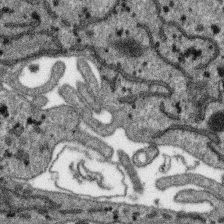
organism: Human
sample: Lung epithelial cells infected with SARS-CoV-2